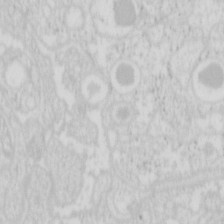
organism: Mouse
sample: Pancreas